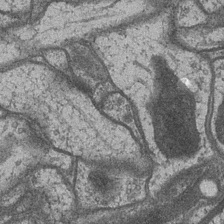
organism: Drosophila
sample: Optic medulla